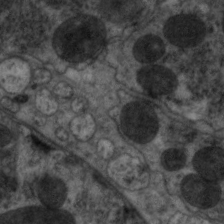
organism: C. elegans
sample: Pharynx